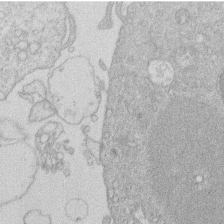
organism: Human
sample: Macrophage cells